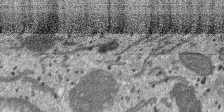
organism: Human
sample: Lung epithelial cells infected with SARS-CoV-2